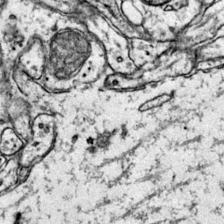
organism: Mouse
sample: Primary visual cortex